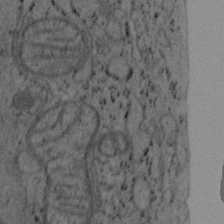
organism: Human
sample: HeLa cells